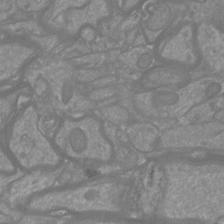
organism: Mouse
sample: Cortical neurons